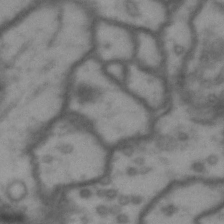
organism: Drosophila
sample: Brain